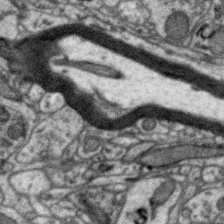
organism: Zebra finch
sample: Brain